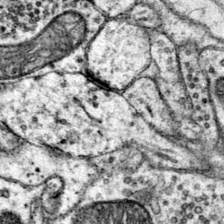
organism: Mouse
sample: Primary visual cortex